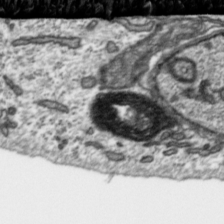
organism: Toxoplasma gondii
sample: Parasites in a vacuole inside a host cell